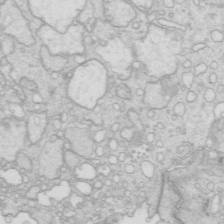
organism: Mouse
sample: Multiciliated cells